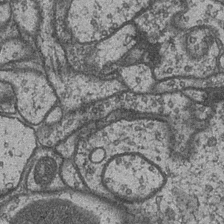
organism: Drosophila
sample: Optic medulla